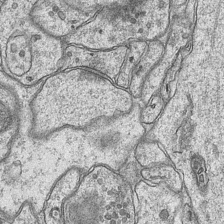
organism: Mouse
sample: CA1 Hippocampus